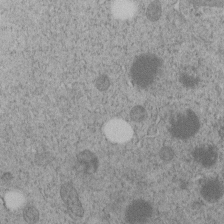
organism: C. elegans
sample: C. elegans embryo early stage